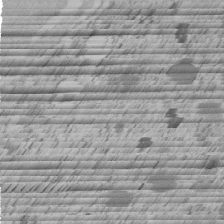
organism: C. elegans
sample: C. elegans embryo early stage